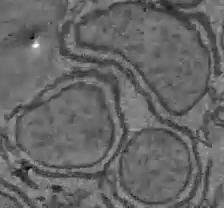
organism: C57BL Mouse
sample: Liver